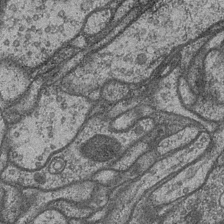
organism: Drosophila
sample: Optic medulla